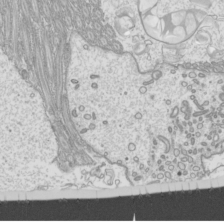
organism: Mouse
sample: Cilia; mouse epididymis